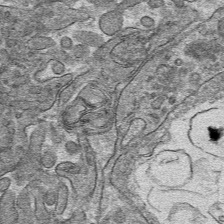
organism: Mouse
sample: Mouse hepatocytes